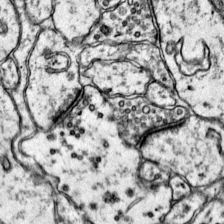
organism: Mouse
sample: Primary visual cortex